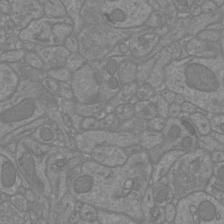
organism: Mouse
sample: Cortical neurons